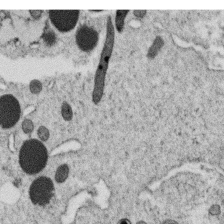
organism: C. elegans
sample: C. elegans oocyte; sperm cells